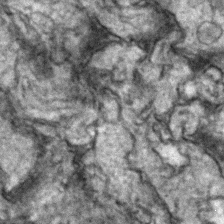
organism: Zebrafish